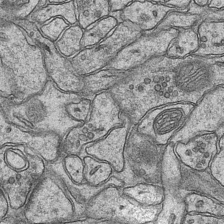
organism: Mouse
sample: CA1 Hippocampus